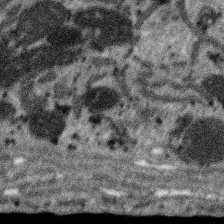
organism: Human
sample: Lung epithelial cells infected with SARS-CoV-2